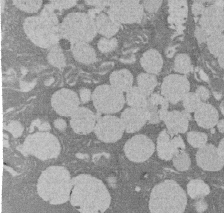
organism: Rat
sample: Salivary granule